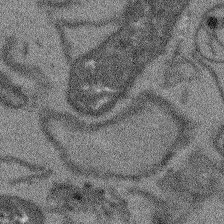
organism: Arabidopsis thaliana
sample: Root tip